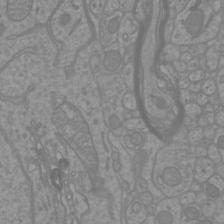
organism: Mouse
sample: Cortical neurons